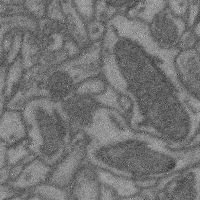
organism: Mouse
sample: Cerebral cortex